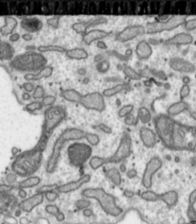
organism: Toxoplasma gondii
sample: Parasites in a vacuole inside a host cell